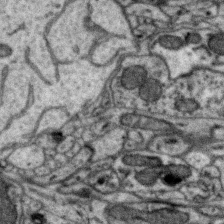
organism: Zebra finch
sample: Brain